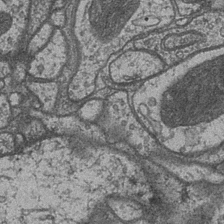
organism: Drosophila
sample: Optic medulla